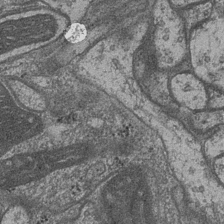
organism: Drosophila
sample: Optic medulla